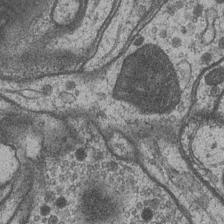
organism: Drosophila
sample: Optic medulla